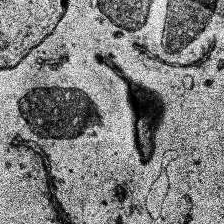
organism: Human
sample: Temporal Lobe